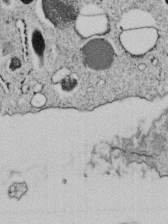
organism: C. elegans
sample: C. elegans embryo early stage